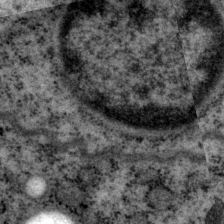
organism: P. pacificus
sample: Pharynx